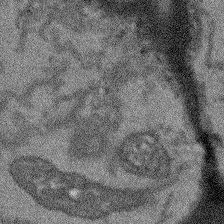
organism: Arabidopsis thaliana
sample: Root tip